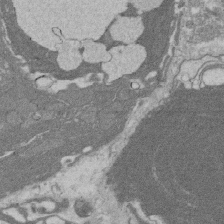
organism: Rat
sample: Salivary granule